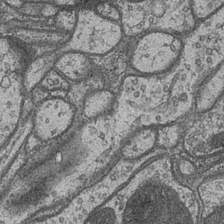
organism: Drosophila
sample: Optic medulla